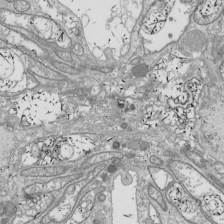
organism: Drosophila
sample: Cell division; meiosis; drosophila spermatocytes